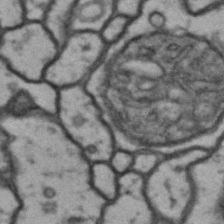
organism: Drosophila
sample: Brain